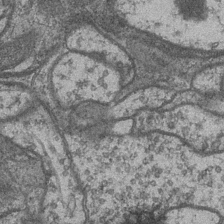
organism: Drosophila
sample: Optic medulla